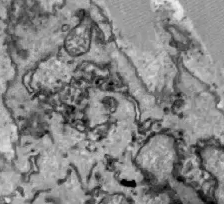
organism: Zebrafish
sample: Actinotrichia fibers